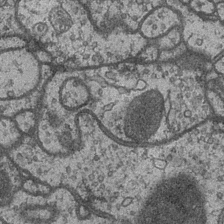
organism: Drosophila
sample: Optic medulla